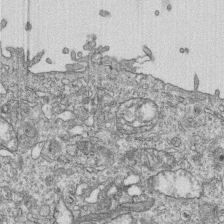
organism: Human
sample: HeLa cell HIV synapse